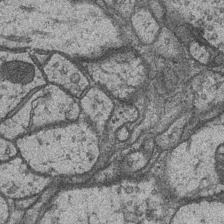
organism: Drosophila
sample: Optic medulla